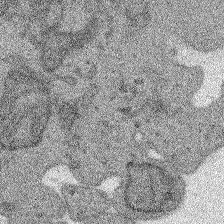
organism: Human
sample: HeLa cells